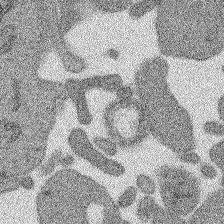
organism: Human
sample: HeLa cells